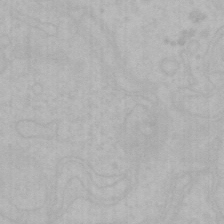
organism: Mouse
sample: Choroid plexus